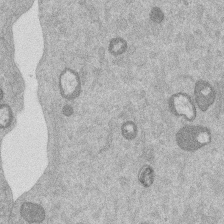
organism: Mouse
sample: Dividing mouse embryo 1 cell stage